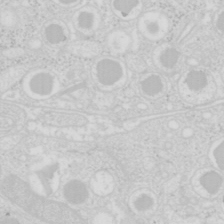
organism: Mouse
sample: Pancreas